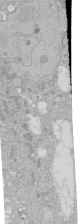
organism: Human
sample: Caco-2 cells